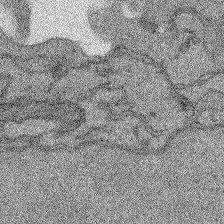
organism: Human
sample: HeLa cells